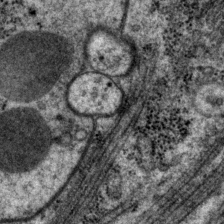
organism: P. pacificus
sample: Pharynx